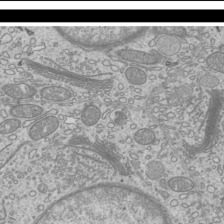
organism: Mouse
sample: Cilia; mouse epididymis